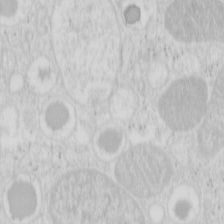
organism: Mouse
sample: Pancreas